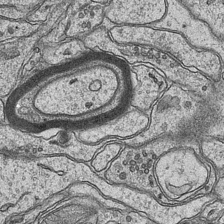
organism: Mouse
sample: CA1 Hippocampus